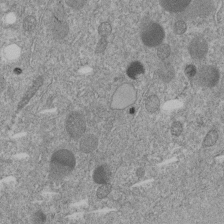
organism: C. elegans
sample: C. elegans embryo early stage